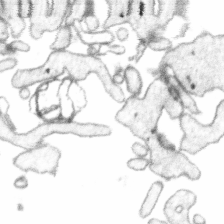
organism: Human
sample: HeLa cells